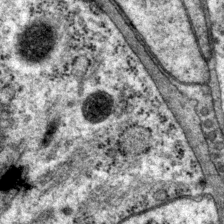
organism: P. pacificus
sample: Pharynx